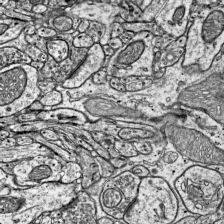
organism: Mouse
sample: Visual Cortex